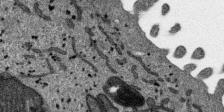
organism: Human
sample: Lung epithelial cells, uninfected (mock) control